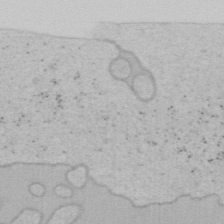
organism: Human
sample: HeLa cells